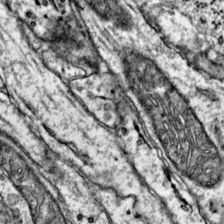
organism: Mouse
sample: Primary visual cortex